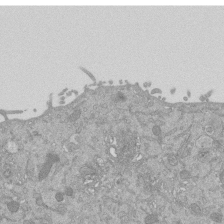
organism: Mouse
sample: ED-1 cell nuclei; centrioles